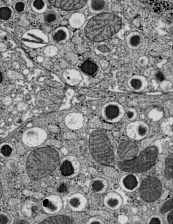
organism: C57BL Mouse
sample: Pancreatic islet